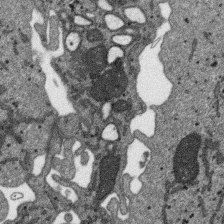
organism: Human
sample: Lung epithelial cells infected with SARS-CoV-2